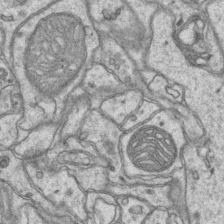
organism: Mouse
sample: CA1 Hippocampus